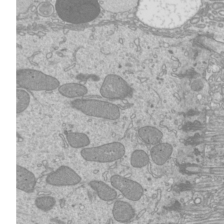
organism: Mouse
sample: Cilia; mouse epididymis